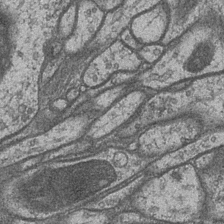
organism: Drosophila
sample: Optic medulla